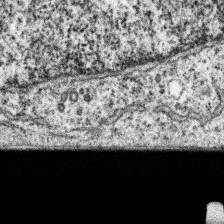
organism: Human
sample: HeLa cells